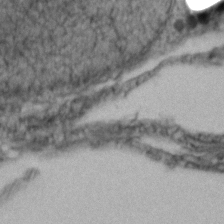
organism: Zebrafish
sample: Zebrafish embryo